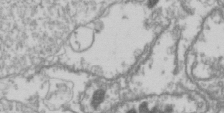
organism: Drosophila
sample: Cell division; meiosis; drosophila spermatocytes